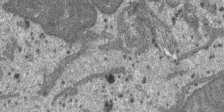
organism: Human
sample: Lung epithelial cells infected with SARS-CoV-2